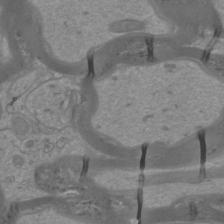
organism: Mouse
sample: Cortical neurons